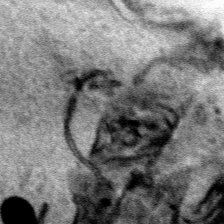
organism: Human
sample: Mitochondria in HCT116 cells